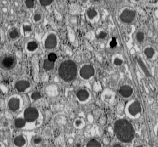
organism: C57BL Mouse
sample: Pancreatic islet